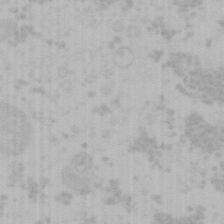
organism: Mouse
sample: Choroid plexus